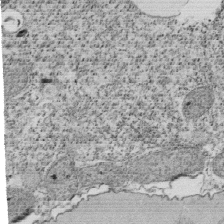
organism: Tetrahymena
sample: Cilia in tetrahymena